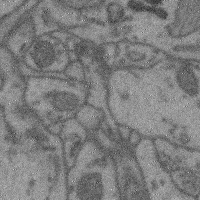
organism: Mouse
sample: Cerebral cortex